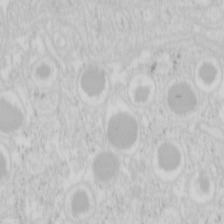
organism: Mouse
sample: Pancreas